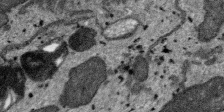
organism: Human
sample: Lung epithelial cells, uninfected (mock) control